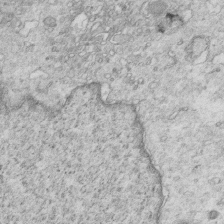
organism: Mouse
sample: Multiciliated cells